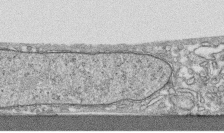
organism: Human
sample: CRL-1474